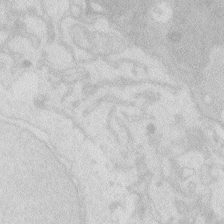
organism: Zebrafish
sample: Macrophage